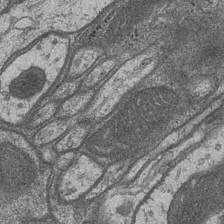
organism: Drosophila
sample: Optic medulla